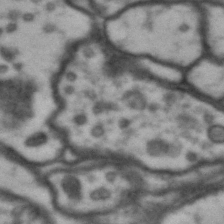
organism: Drosophila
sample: Brain